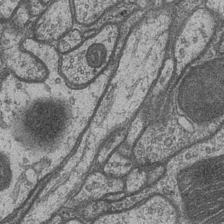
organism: Drosophila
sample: Optic medulla